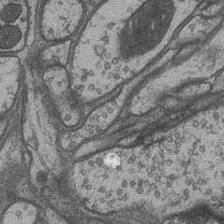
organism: Drosophila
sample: Optic medulla